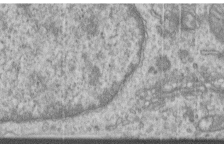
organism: Human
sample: Centriole in RPE cells